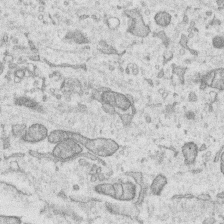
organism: Human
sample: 1205lu cells